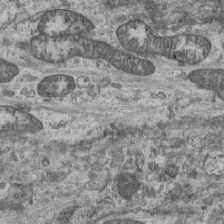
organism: Mouse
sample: Centriole in ependymal cells